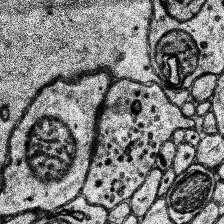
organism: Human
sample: Temporal Lobe